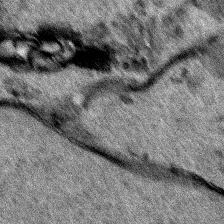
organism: Human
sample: Mitochondria in HCT116 cells